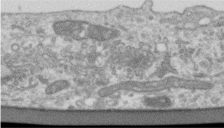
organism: Human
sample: Centriole in RPE cells